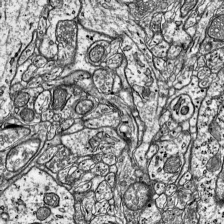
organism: Mouse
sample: Visual Cortex